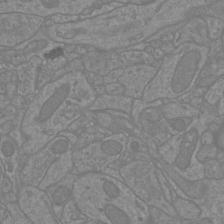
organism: Mouse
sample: Cortical neurons